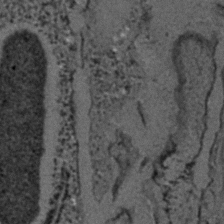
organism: C. elegans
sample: C. elegans embryo